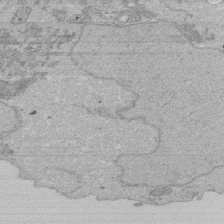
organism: Human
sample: Activated Jurkat CD4+ T cells